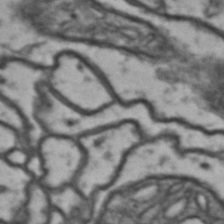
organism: Drosophila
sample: Brain